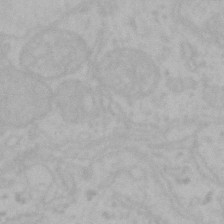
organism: Mouse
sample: Choroid plexus